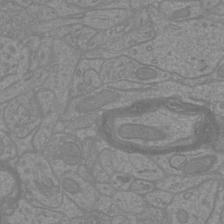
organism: Mouse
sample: Cortical neurons